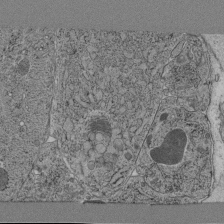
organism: C. elegans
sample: C. elegans pharynx